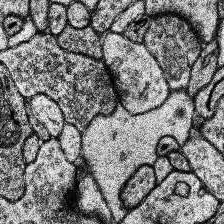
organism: Human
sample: Temporal Lobe